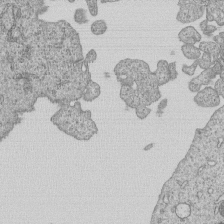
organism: Human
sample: MDA-MB-231 cells